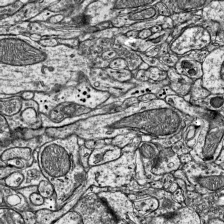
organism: Mouse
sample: Visual Cortex